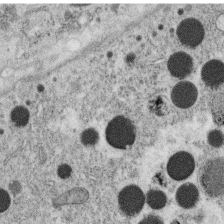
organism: C. elegans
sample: C. elegans oocyte; sperm cells